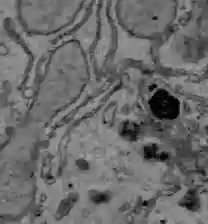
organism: C57BL Mouse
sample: Liver